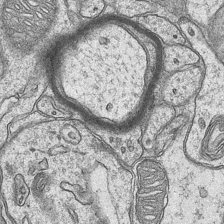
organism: Mouse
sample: CA1 Hippocampus